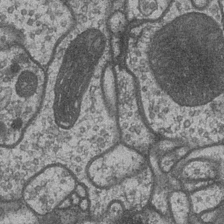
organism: Drosophila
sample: Optic medulla